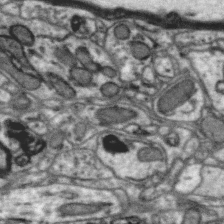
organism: Zebra finch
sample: Brain